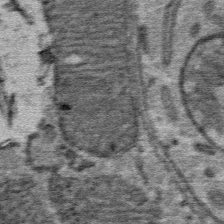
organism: Mouse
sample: Mouse Salivary gland